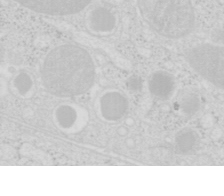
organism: Mouse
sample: Pancreas